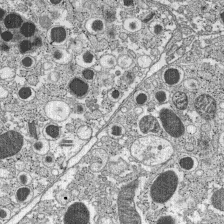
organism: C57BL Mouse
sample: Pancreatic islet